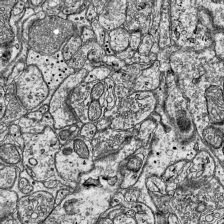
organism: Mouse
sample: Visual Cortex